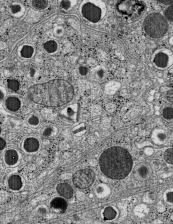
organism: C57BL Mouse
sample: Pancreatic islet